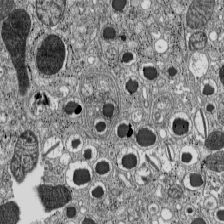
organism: C57BL Mouse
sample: Pancreatic islet